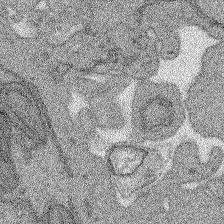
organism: Human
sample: HeLa cells